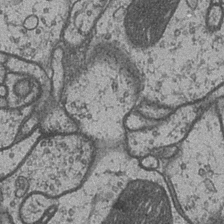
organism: Drosophila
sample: Optic medulla